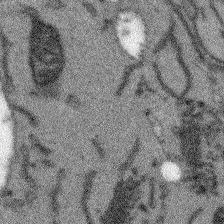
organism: Arabidopsis thaliana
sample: Root tip